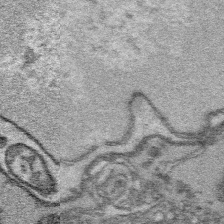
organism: Platynereis dumerilii